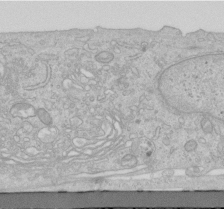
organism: Human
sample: Centriole in RPE cells